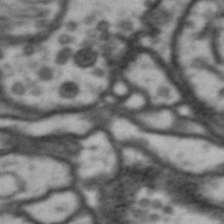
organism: Drosophila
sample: Brain